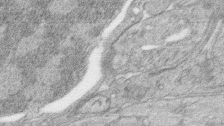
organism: Zebrafish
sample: synaptic ribbons in rod cells and cone cells